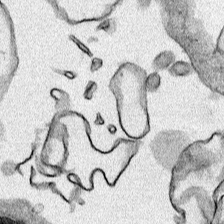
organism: Human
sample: Mitochondria in HCT116 cells